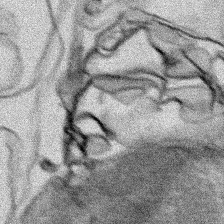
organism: Human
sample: Mitochondria in HCT116 cells